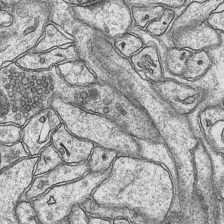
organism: Mouse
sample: CA1 Hippocampus